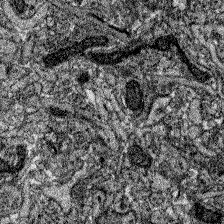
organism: Zebrafish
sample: Larval olfactory bulb